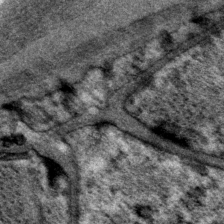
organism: P. pacificus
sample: Pharynx